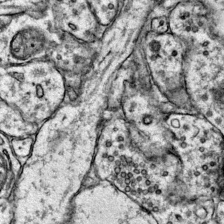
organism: Mouse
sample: Primary visual cortex